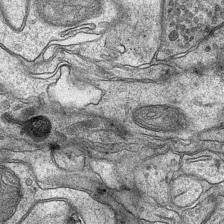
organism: Mouse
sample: CA1 Hippocampus